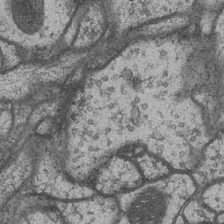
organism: Drosophila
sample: Optic medulla